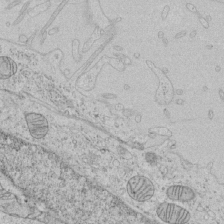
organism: Human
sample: Mitochondria in HCT116 cells